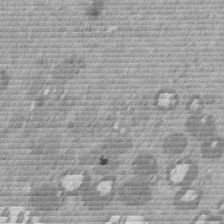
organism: Mouse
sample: Dividing mouse embryo 1 cell stage